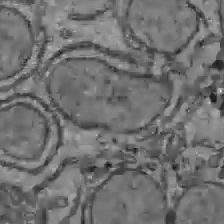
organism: C57BL Mouse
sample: Liver